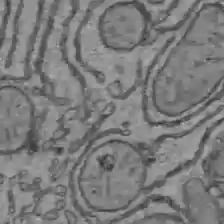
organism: C57BL Mouse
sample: Liver